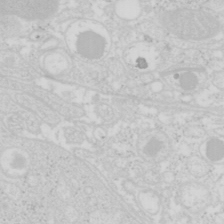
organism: Mouse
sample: Pancreas